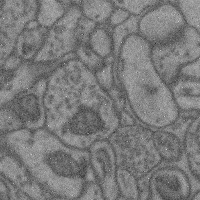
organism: Mouse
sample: Cerebral cortex